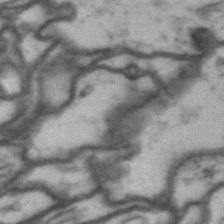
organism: Drosophila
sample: Brain